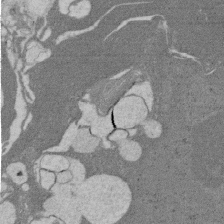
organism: Rat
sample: Salivary granule